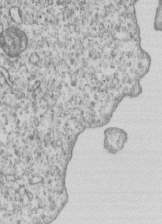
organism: Human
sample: MDA-MB-231 cells